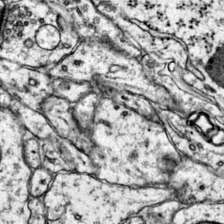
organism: Mouse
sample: Primary visual cortex